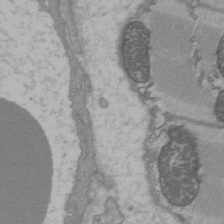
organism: C57BL Mouse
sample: Heart